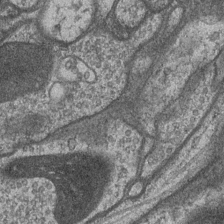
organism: Drosophila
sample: Optic medulla